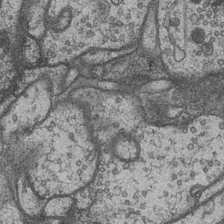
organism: Drosophila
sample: Optic medulla